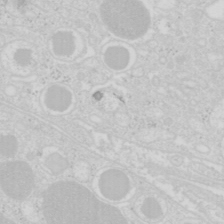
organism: Mouse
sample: Pancreas